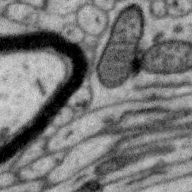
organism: Zebra finch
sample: Brain